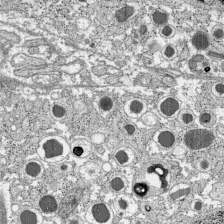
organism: C57BL Mouse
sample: Pancreatic islet